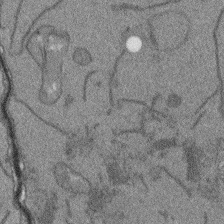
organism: Arabidopsis thaliana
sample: Root tip